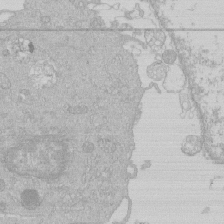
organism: Human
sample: Macrophage cells